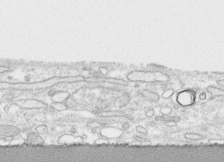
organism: Human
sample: CRL-1474